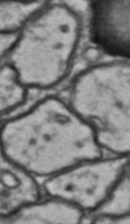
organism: Drosophila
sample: Brain